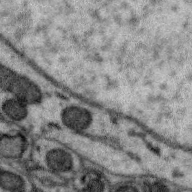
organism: Zebra finch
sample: Brain